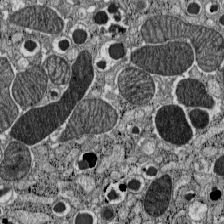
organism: C57BL Mouse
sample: Pancreatic islet